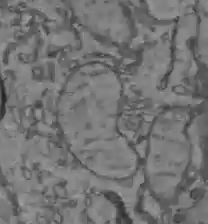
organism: C57BL Mouse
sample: Liver